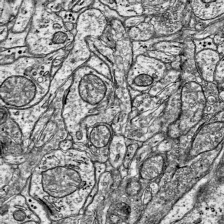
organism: Mouse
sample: Visual Cortex